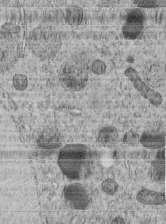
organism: C. elegans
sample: C. elegans embryo early stage